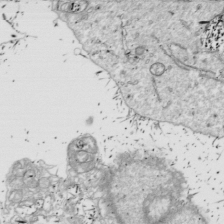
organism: Drosophila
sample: Cell division; meiosis; drosophila spermatocytes